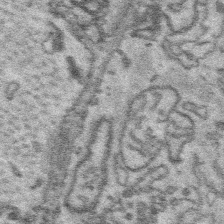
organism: Platynereis dumerilii